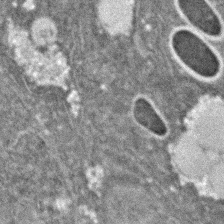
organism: C. elegans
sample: C. elegans embryo